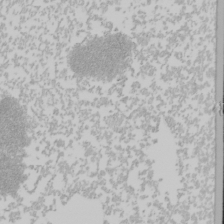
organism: Mouse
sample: Cancer cell death in ED-1 cells